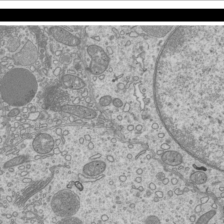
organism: Mouse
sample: Cilia; mouse epididymis